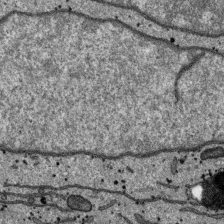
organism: Human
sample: Lung epithelial cells, uninfected (mock) control